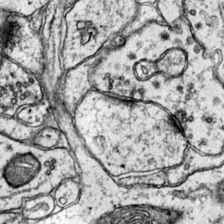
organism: Mouse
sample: Primary visual cortex